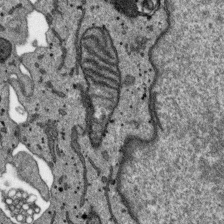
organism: Human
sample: Lung epithelial cells, uninfected (mock) control